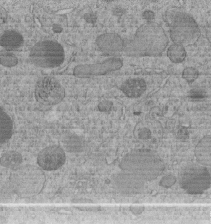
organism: C. elegans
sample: C. elegans embryo early stage